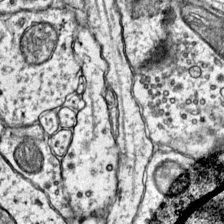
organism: Mouse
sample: Primary visual cortex